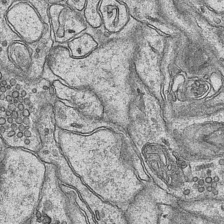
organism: Mouse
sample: CA1 Hippocampus